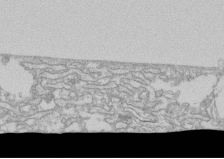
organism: Human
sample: CRL-1474